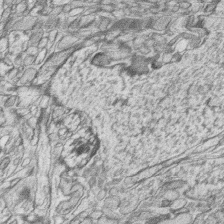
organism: Zebrafish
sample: synaptic ribbons in rod cells and cone cells